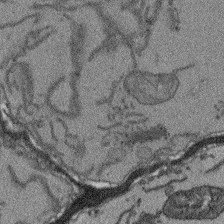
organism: Arabidopsis thaliana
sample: Root tip